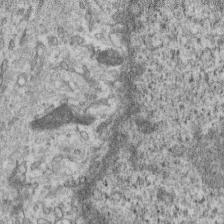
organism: Mouse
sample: Centriole in ependymal cells